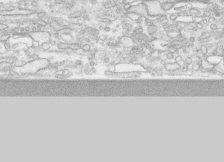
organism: Human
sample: CRL-1474